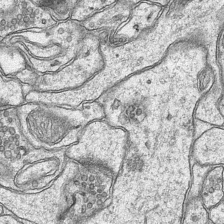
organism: Mouse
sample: CA1 Hippocampus